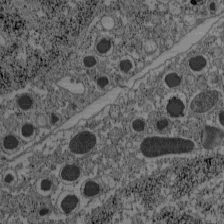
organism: C57BL Mouse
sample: Pancreatic islet